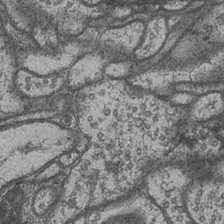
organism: Drosophila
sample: Optic medulla